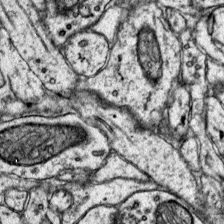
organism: Mouse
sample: Primary visual cortex